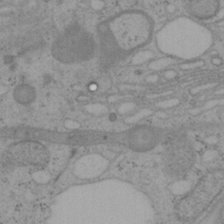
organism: Mouse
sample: OT-I killer T cells with ID8 ovarian cancer cells